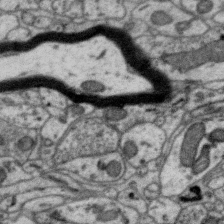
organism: Zebra finch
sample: Brain